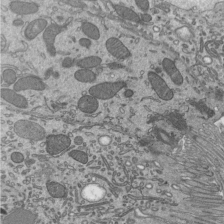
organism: Mouse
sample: Mouse epididymis efferent ductule cilia